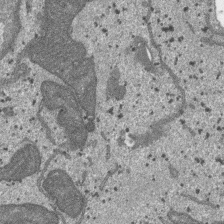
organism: Human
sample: Lung epithelial cells infected with SARS-CoV-2